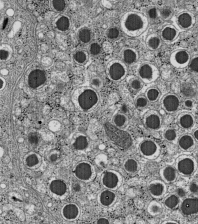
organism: C57BL Mouse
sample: Pancreatic islet